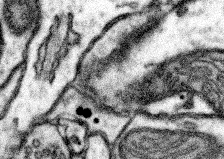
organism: Mouse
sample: Somatosensory cortex neuropil